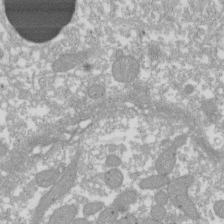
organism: Xenopus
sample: Cilia; centrioles in frog embryo cells